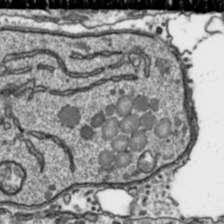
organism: Toxoplasma gondii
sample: Parasites in a vacuole inside a host cell